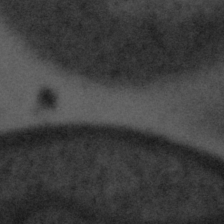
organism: Tuwongella immobilis